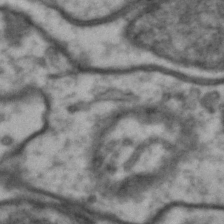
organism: Drosophila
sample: Brain